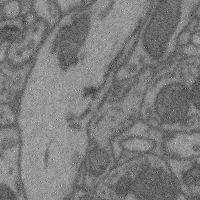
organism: Mouse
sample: Cerebral cortex